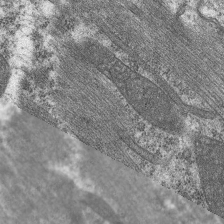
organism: C. elegans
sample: Pharynx